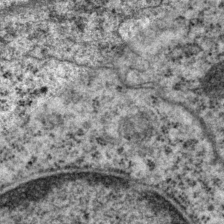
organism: P. pacificus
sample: Pharynx